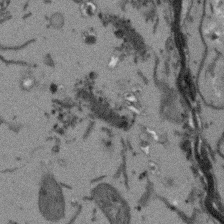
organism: Arabidopsis thaliana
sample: Root tip